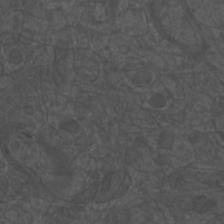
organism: Mouse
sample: Cortical neurons